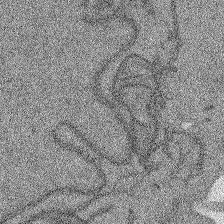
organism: Human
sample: HeLa cells